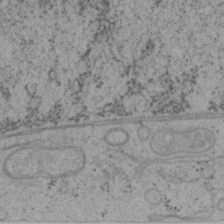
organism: Human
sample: HeLa cells